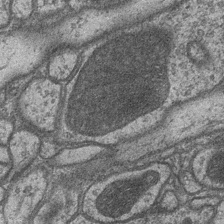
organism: Drosophila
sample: Optic medulla